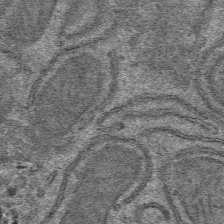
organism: Mouse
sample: Mouse hepatocytes